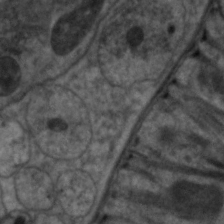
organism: C. elegans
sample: Pharynx